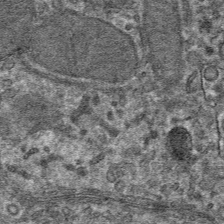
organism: Mouse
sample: Mouse hepatocytes